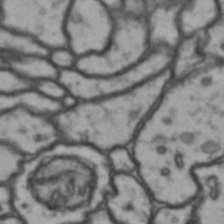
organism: Drosophila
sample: Brain